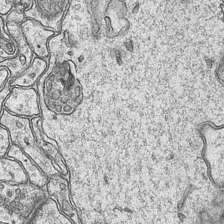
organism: Mouse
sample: CA1 Hippocampus